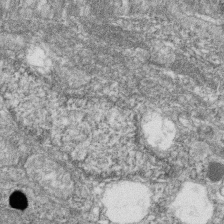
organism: Zebrafish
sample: Cilia; retinal pigment epithelium